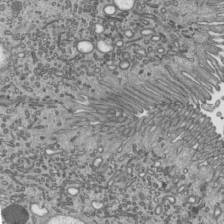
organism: Mouse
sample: Mouse epididymis efferent ductule cilia